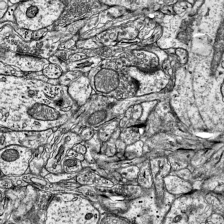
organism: Mouse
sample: Visual Cortex